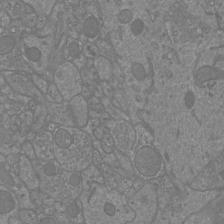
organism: Mouse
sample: Cortical neurons